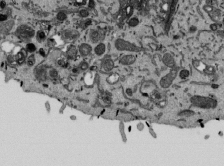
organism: Mouse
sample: ED-1 cell nuclei; centrioles